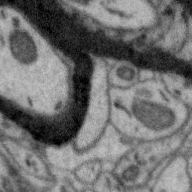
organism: Zebra finch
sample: Brain